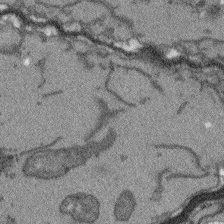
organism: Arabidopsis thaliana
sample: Root tip